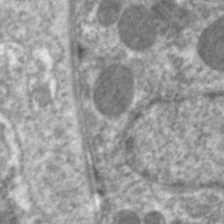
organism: C. elegans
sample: Pharynx